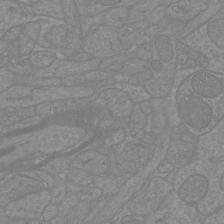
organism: Mouse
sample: Cortical neurons